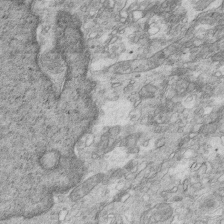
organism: Mouse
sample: Multiciliated cells